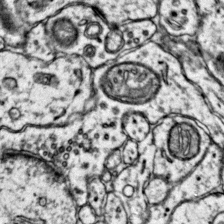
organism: Mouse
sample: Primary visual cortex